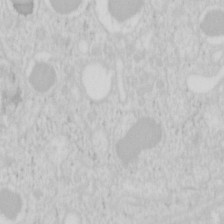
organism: Mouse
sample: Pancreas